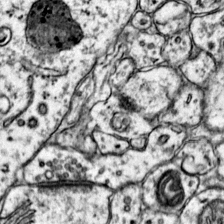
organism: Mouse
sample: Primary visual cortex